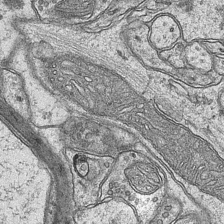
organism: Mouse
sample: CA1 Hippocampus